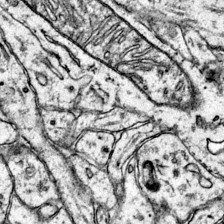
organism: Mouse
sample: Primary visual cortex